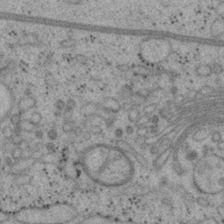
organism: Human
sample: HeLa cells